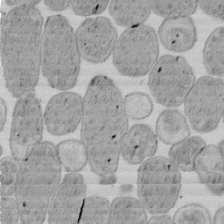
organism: E. coli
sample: Bacterial nucleoid